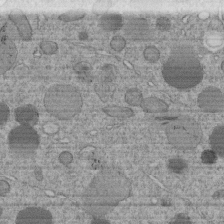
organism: C. elegans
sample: C. elegans embryo early stage